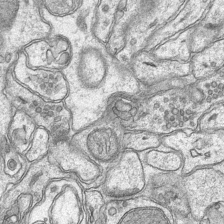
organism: Mouse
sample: CA1 Hippocampus